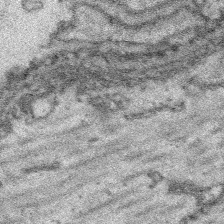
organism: Platynereis dumerilii